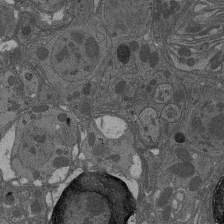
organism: Drosophila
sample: Antenna